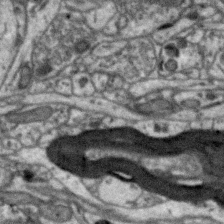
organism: Zebra finch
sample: Brain